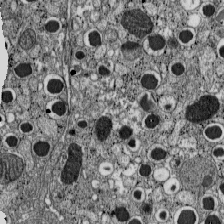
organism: C57BL Mouse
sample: Pancreatic islet